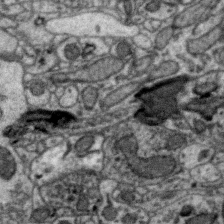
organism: Zebra finch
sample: Brain